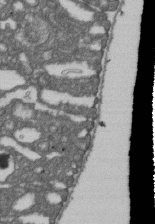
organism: Drosophila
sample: Nephrocyte